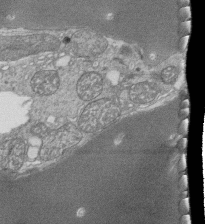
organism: Tetrahymena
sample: Cilia in tetrahymena